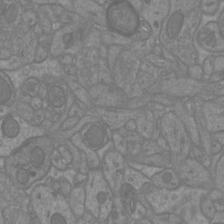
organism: Mouse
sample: Cortical neurons